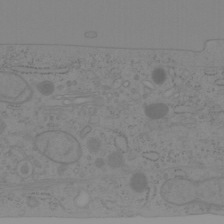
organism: Human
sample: HeLa cells